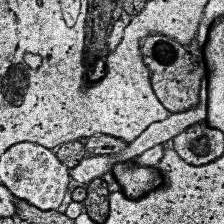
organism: Human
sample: Temporal Lobe